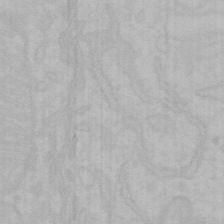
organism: Mouse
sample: Choroid plexus